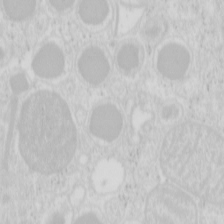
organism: Mouse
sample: Pancreas